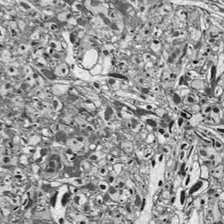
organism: Drosophila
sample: Optic lobe